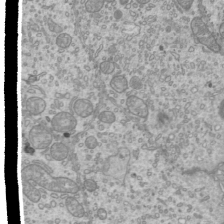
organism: Mouse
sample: Cilia; mouse epididymis